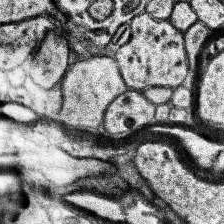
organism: Human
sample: Temporal Lobe